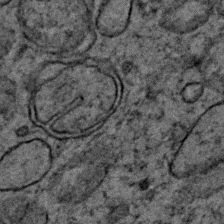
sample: Trachea